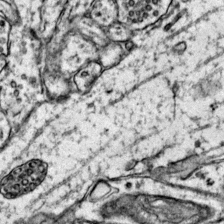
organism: Mouse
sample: Primary visual cortex